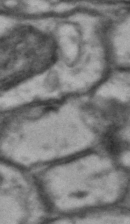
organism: Drosophila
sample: Brain